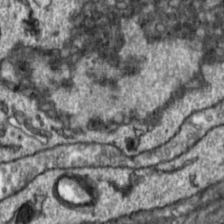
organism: Toxoplasma gondii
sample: Parasites in a vacuole inside a host cell